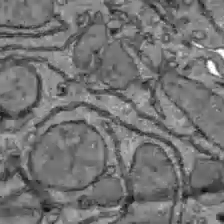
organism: C57BL Mouse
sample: Liver